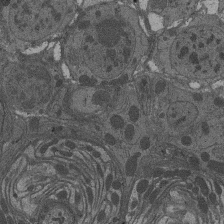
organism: Drosophila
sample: Antenna